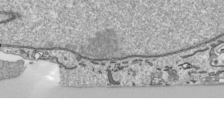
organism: Human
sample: Mitochondria in HCT116 cells